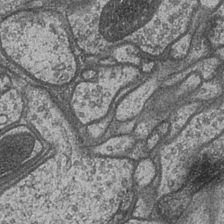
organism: Drosophila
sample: Optic medulla